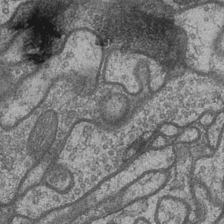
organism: Drosophila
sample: Optic medulla